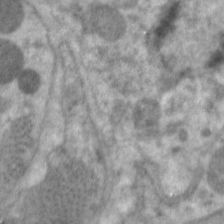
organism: C. elegans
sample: Pharynx